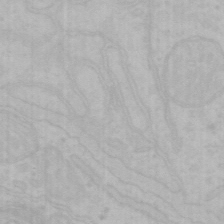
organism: Mouse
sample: Choroid plexus